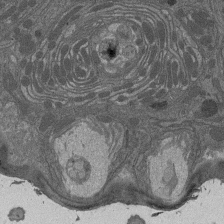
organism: Drosophila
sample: Antenna